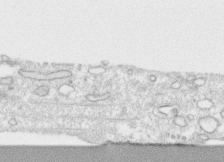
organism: Human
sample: CRL-1474